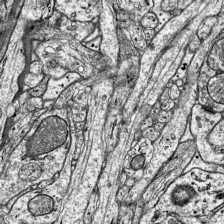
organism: Mouse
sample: Visual Cortex